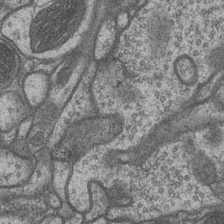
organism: Drosophila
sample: Optic medulla